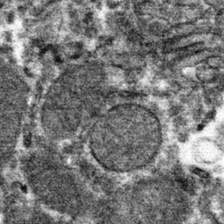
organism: Mouse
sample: Mouse hepatocytes